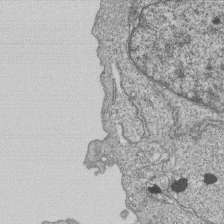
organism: Human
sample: MDA-MB-231 cells